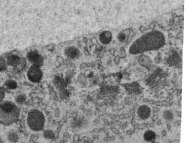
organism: C. elegans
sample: C. elegans oocyte; sperm cells